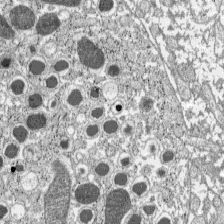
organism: C57BL Mouse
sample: Pancreatic islet